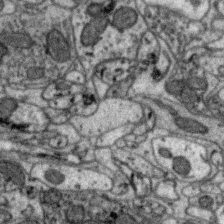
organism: Zebra finch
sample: Brain